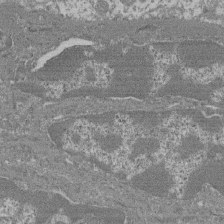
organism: Mouse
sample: Glomerulus